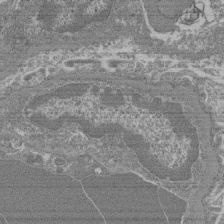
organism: Mouse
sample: Glomerulus